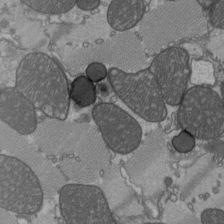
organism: C57BL Mouse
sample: Heart